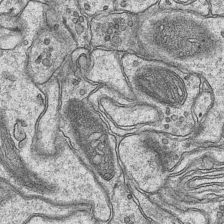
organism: Mouse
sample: CA1 Hippocampus